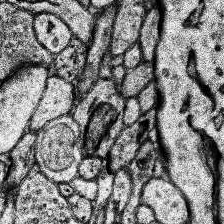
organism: Human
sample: Temporal Lobe